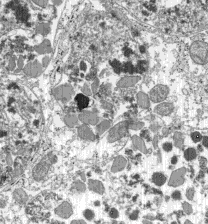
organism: C57BL Mouse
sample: Pancreatic islet